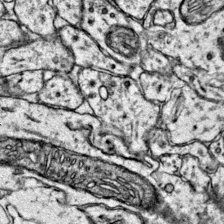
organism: Mouse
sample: Primary visual cortex